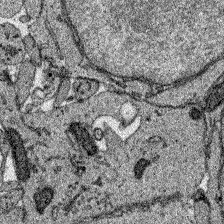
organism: Zebrafish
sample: Larval olfactory bulb